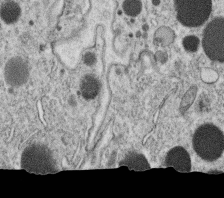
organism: C. elegans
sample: C. elegans oocyte; sperm cells